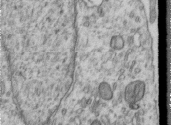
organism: Human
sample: Centriole in RPE cells